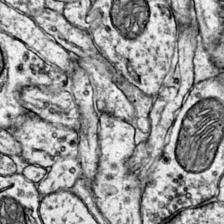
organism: Mouse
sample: Primary visual cortex